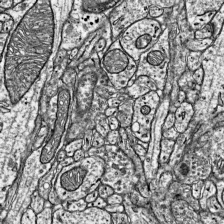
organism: Mouse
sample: Visual Cortex